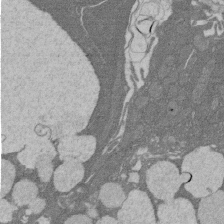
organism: Rat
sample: Salivary granule